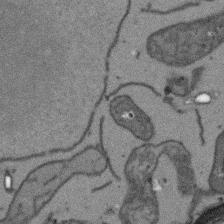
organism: Arabidopsis thaliana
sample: Root tip